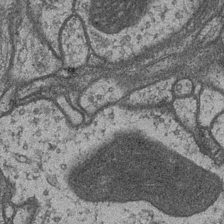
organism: Drosophila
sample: Optic medulla